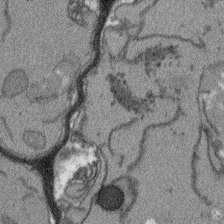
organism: Arabidopsis thaliana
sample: Root tip